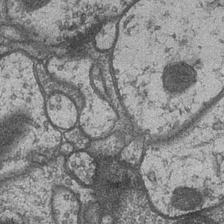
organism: Drosophila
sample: Optic medulla